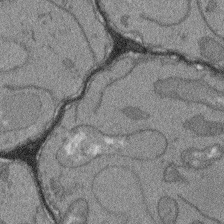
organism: Arabidopsis thaliana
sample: Root tip